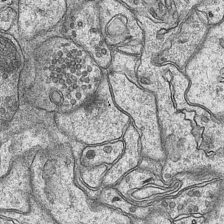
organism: Mouse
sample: CA1 Hippocampus